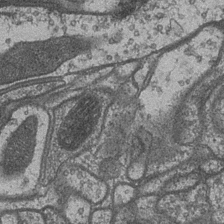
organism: Drosophila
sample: Optic medulla